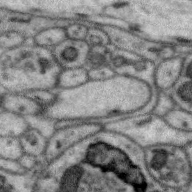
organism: Zebra finch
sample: Brain